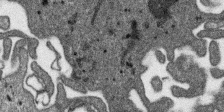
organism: Human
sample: Lung epithelial cells infected with SARS-CoV-2